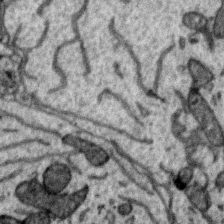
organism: Zebra finch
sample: Brain